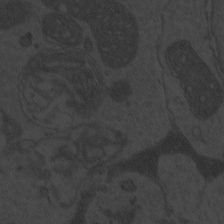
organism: Zebrafish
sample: Macrophage infected with Toxoplasma gondii